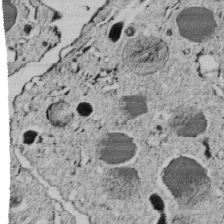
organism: C. elegans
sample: C. elegans embryo early stage